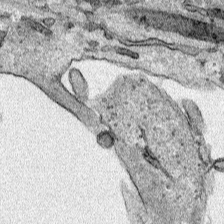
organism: Human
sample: Mitochondria in HCT116 cells